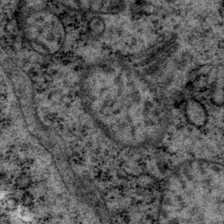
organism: P. pacificus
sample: Pharynx